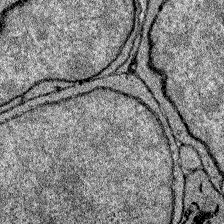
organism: Zebrafish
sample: Larval olfactory bulb